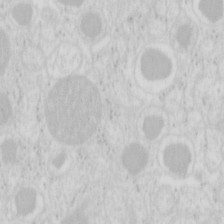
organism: Mouse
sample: Pancreas